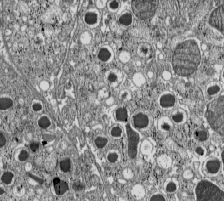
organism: C57BL Mouse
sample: Pancreatic islet